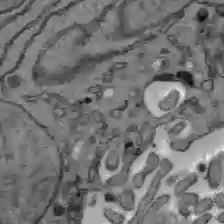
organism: C57BL Mouse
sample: Liver